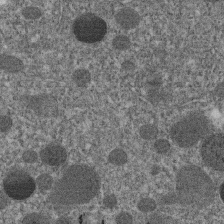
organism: C. elegans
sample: C. elegans embryo early stage